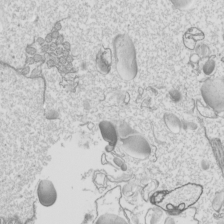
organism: Mouse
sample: Cilia; mouse epididymis